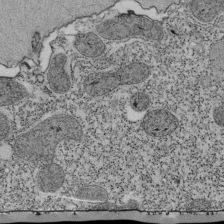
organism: Tetrahymena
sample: Cilia in tetrahymena